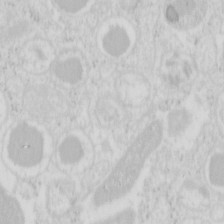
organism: Mouse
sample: Pancreas